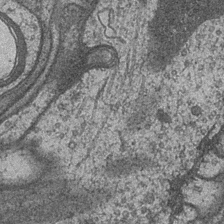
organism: Drosophila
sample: Optic medulla